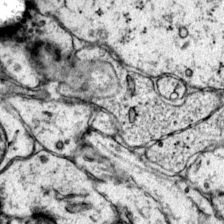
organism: Mouse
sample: Primary visual cortex